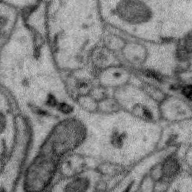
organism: Zebra finch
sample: Brain